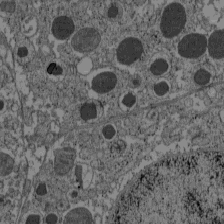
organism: C57BL Mouse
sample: Pancreatic islet